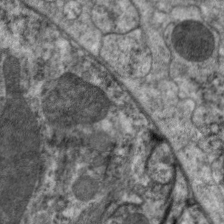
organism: C. elegans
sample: Pharynx